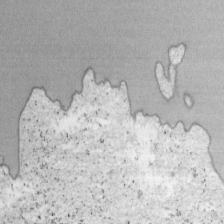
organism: Mouse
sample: OT-I killer T cells with ID8 ovarian cancer cells